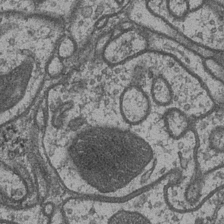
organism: Drosophila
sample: Optic medulla